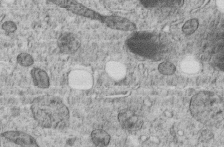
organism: C. elegans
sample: C. elegans embryo early stage